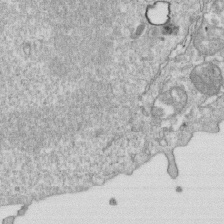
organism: Mouse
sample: Activated OT-1 CD8+ T cells